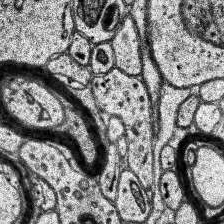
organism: Human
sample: Temporal Lobe